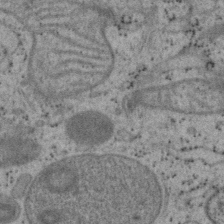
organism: Human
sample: HeLa cells